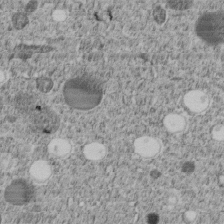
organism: C. elegans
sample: C. elegans embryo early stage